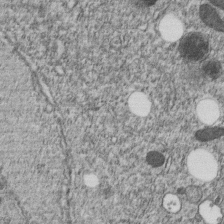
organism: C. elegans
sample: C. elegans embryo early stage